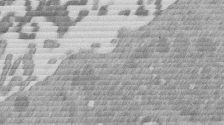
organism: Mouse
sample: Dividing mouse embryo 1 cell stage